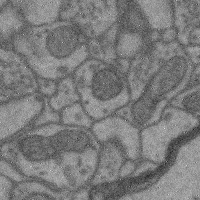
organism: Mouse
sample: Cerebral cortex